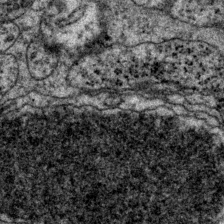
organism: P. pacificus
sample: Pharynx